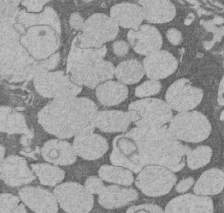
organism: Rat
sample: Salivary granule